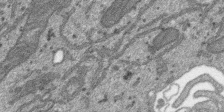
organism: Human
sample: Lung epithelial cells infected with SARS-CoV-2